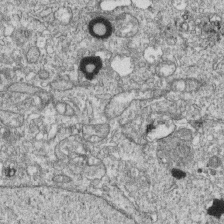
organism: Human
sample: HeLa cell HIV synapse